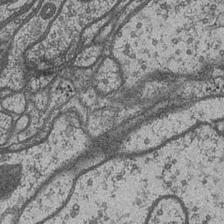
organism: Drosophila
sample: Optic medulla